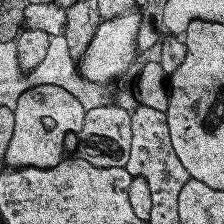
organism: Human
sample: Temporal Lobe